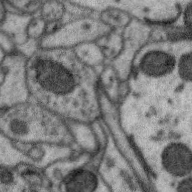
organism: Zebra finch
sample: Brain